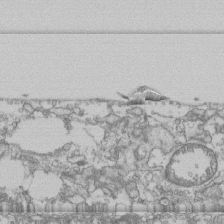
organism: Human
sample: Fibroblast cells